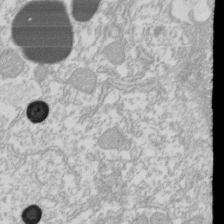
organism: Xenopus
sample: Cilia; centrioles in frog embryo cells